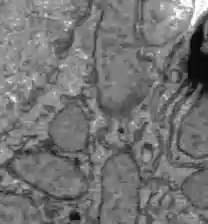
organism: C57BL Mouse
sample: Liver